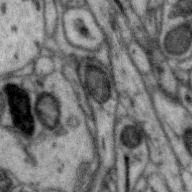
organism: Zebra finch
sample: Brain